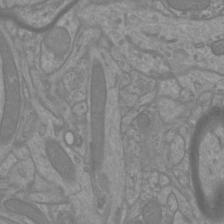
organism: Mouse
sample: Cortical neurons